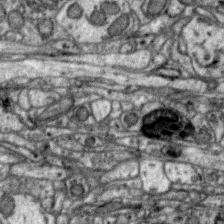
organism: Zebra finch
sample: Brain